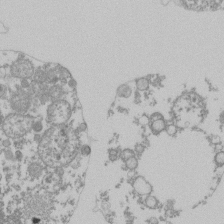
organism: Mouse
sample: Activated Pmel transgenic CD8+ T Cells